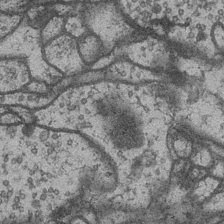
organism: Drosophila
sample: Optic medulla